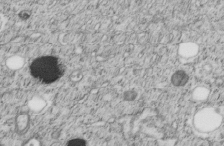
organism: C. elegans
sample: C. elegans embryo early stage